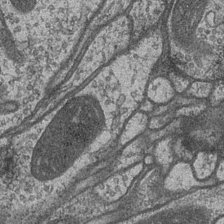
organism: Drosophila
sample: Optic medulla